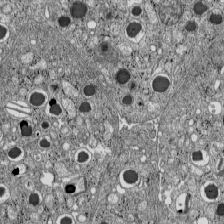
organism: C57BL Mouse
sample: Pancreatic islet